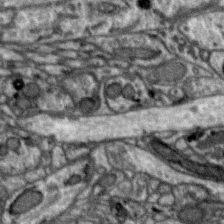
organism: Zebra finch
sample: Brain